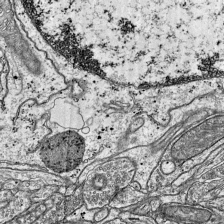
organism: Mouse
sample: Visual Cortex